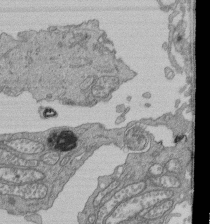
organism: Human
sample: Retinal organoid Rod and Cone cells